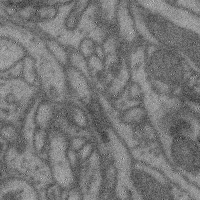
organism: Mouse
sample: Cerebral cortex